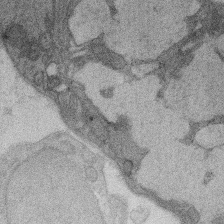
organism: Rat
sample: Salivary granule